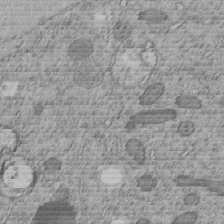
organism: C. elegans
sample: C. elegans embryo early stage